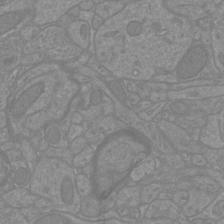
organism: Mouse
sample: Cortical neurons